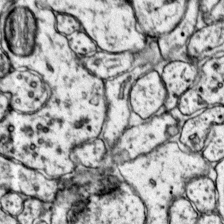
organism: Mouse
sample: Primary visual cortex